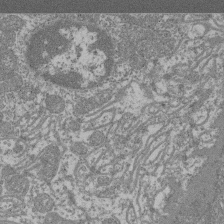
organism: Mouse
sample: Glomerulus